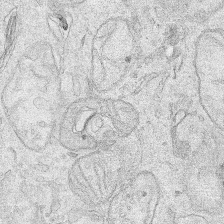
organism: Human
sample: Mitochondria in HCT116 cells